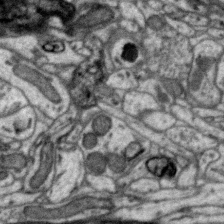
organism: Zebra finch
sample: Brain